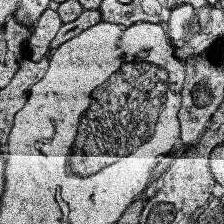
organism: Human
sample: Temporal Lobe